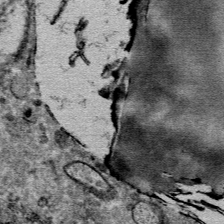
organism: Mouse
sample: Mouse Salivary gland